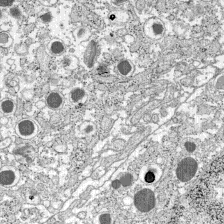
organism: C57BL Mouse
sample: Pancreatic islet